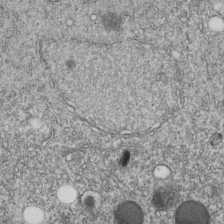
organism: C. elegans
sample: C. elegans embryo early stage